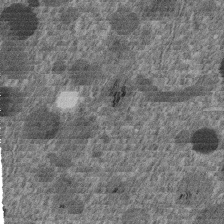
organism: C. elegans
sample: C. elegans embryo early stage